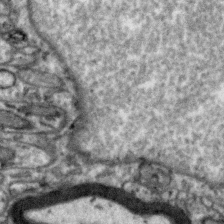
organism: Zebra finch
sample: Brain